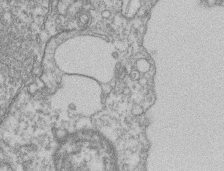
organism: Mouse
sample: T cell stromal cell synapse